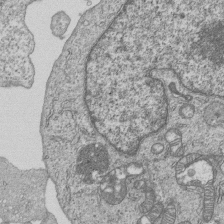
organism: Human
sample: MDA-MB-231 cells